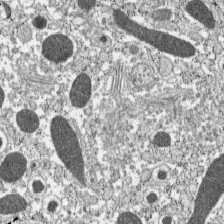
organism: C57BL Mouse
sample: Pancreatic islet